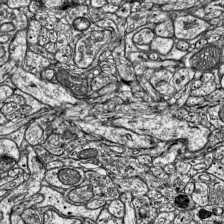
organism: Mouse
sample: Visual Cortex